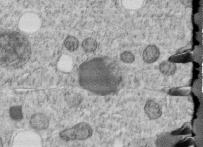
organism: C. elegans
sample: C. elegans embryo early stage